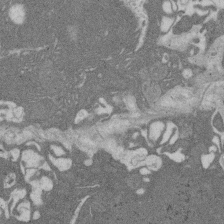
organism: Rat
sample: Salivary granule